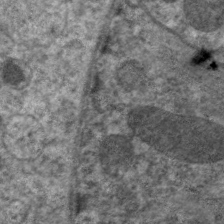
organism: C. elegans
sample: Pharynx